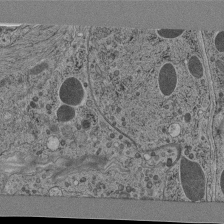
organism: C. elegans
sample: C. elegans pharynx